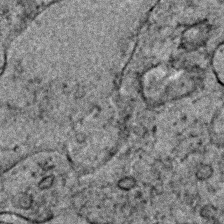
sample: Trachea